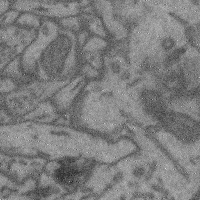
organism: Mouse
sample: Cerebral cortex